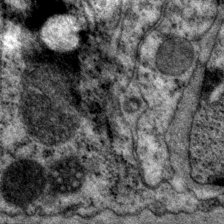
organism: P. pacificus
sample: Pharynx